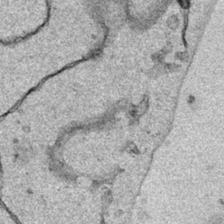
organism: Human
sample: Mitochondria in HCT116 cells